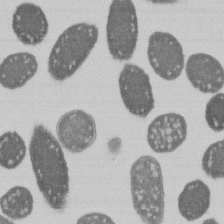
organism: E. coli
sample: Bacterial nucleoid